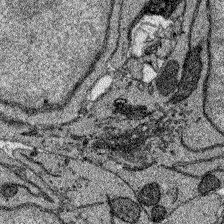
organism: Zebrafish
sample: Larval olfactory bulb